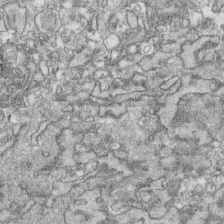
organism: Human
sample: CRL-1474